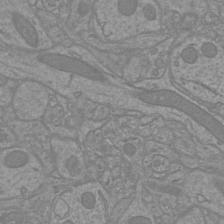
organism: Mouse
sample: Cortical neurons